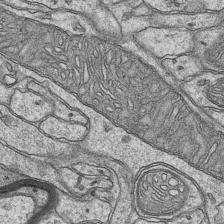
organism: Mouse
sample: CA1 Hippocampus